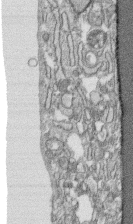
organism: Human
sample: CRL-1474